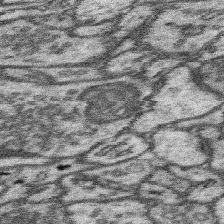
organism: Mouse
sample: Somatosensory cortex neuropil